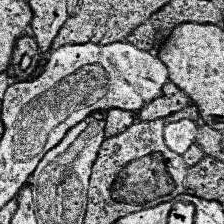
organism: Human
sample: Temporal Lobe